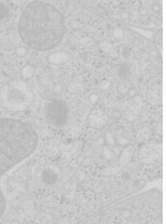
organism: Mouse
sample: Pancreas